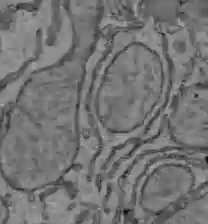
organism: C57BL Mouse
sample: Liver